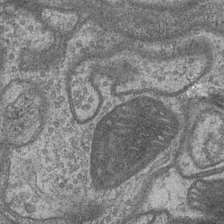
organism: Drosophila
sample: Optic medulla